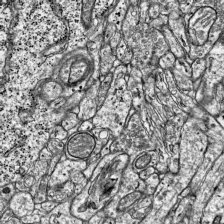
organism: Mouse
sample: Visual Cortex